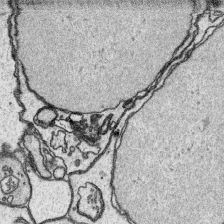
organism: Platynereis dumerilii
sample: Parapodia